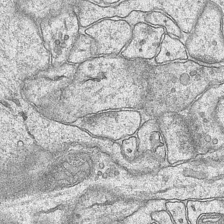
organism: Mouse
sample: CA1 Hippocampus